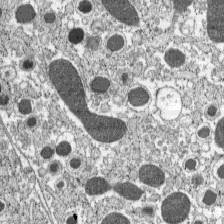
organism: C57BL Mouse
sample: Pancreatic islet